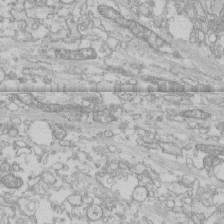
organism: Human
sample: CRL-1474